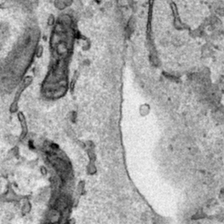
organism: Human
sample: Mitochondria in HCT116 cells